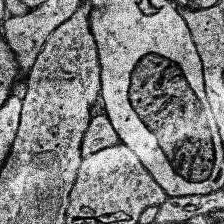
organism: Human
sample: Temporal Lobe